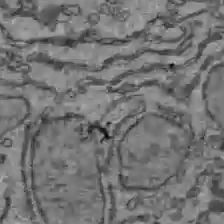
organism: C57BL Mouse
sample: Liver